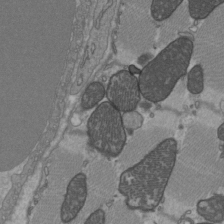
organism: C57BL Mouse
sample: Heart